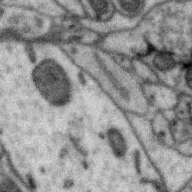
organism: Zebra finch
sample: Brain